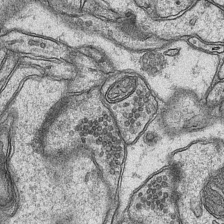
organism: Mouse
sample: CA1 Hippocampus